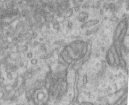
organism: Human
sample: Centriole in RPE cells